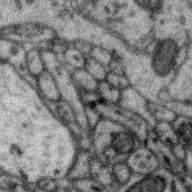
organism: Zebra finch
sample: Brain